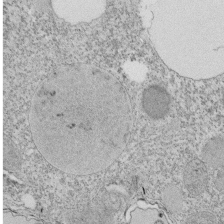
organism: Tetrahymena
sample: Cilia in tetrahymena